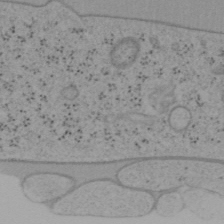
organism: Human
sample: HeLa cells